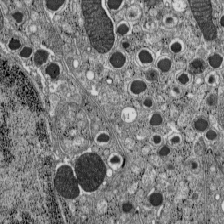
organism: C57BL Mouse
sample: Pancreatic islet